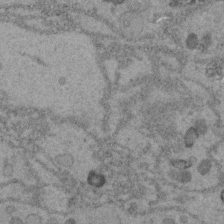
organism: C. elegans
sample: C. elegans embryo early stage